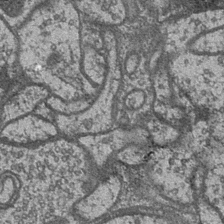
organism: Drosophila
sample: Optic medulla